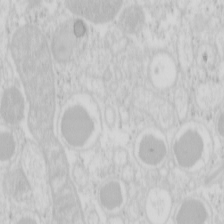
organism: Mouse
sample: Pancreas